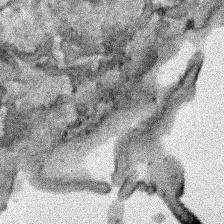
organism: Human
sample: Mitochondria in HCT116 cells